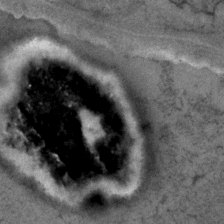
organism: C. elegans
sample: C. elegans embryo